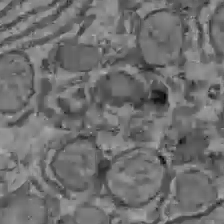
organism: C57BL Mouse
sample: Liver